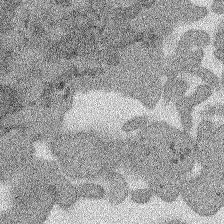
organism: Human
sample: HeLa cells